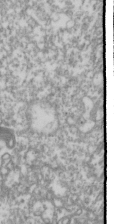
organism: Drosophila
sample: Cell division; meiosis; drosophila spermatocytes